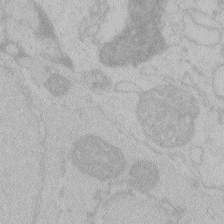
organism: Zebrafish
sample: Macrophage infected with Toxoplasma gondii